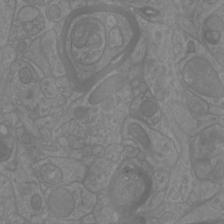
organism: Mouse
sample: Cortical neurons